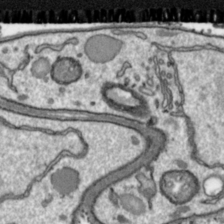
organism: Toxoplasma gondii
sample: Parasites in a vacuole inside a host cell